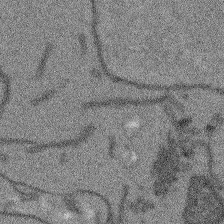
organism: Arabidopsis thaliana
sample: Root tip